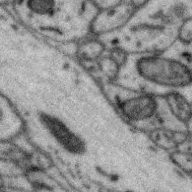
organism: Zebra finch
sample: Brain